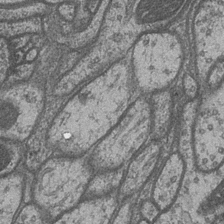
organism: Drosophila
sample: Optic medulla